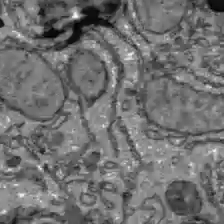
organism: C57BL Mouse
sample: Liver